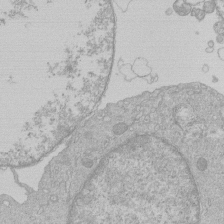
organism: Human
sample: Macrophage cells